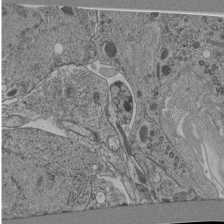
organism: C. elegans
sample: C. elegans pharynx